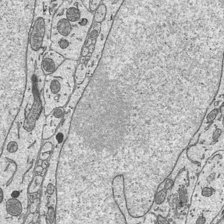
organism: Mouse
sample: Suprachiasmatic nucleus